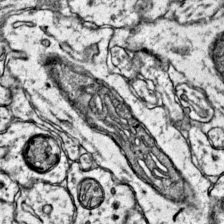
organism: Mouse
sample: Primary visual cortex